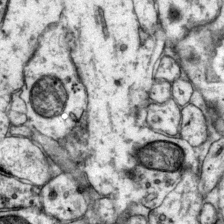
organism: Mouse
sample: Primary visual cortex